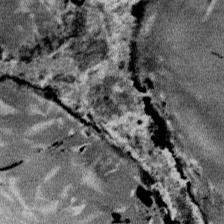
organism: Mouse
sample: Mouse Salivary gland